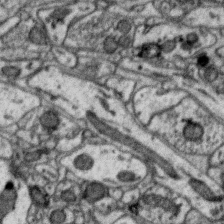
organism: Zebra finch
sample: Brain